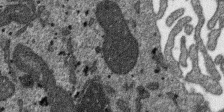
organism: Human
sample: Lung epithelial cells infected with SARS-CoV-2